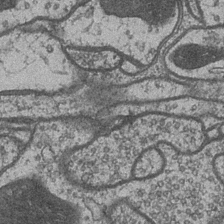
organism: Drosophila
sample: Optic medulla